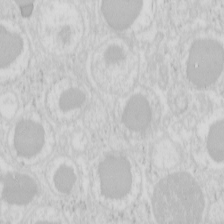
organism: Mouse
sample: Pancreas